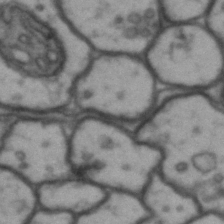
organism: Drosophila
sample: Brain